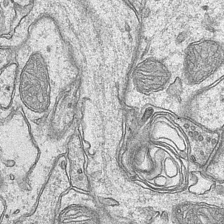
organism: Mouse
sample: CA1 Hippocampus